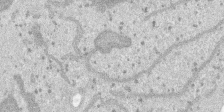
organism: Human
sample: Lung epithelial cells infected with SARS-CoV-2